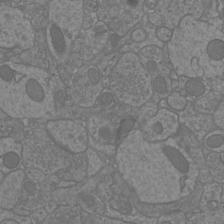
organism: Mouse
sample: Cortical neurons